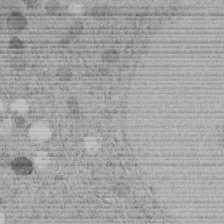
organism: C. elegans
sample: C. elegans embryo early stage